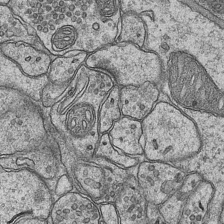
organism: Mouse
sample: CA1 Hippocampus